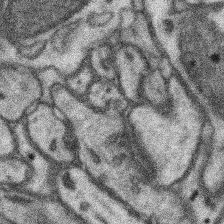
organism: Mouse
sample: Somatosensory cortex neuropil